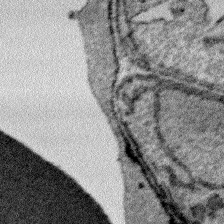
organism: Plasmodium falciparum